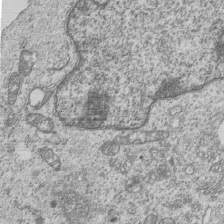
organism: Human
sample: MDA-MB-231 cells